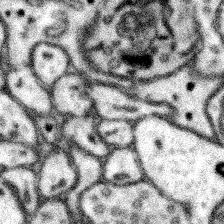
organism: Mouse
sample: Somatosensory cortex neuropil